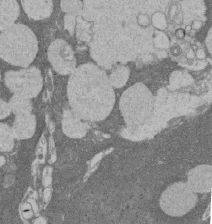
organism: Rat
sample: Salivary granule